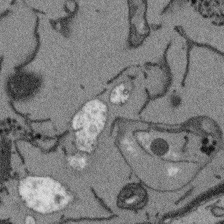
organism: Arabidopsis thaliana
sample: Root tip